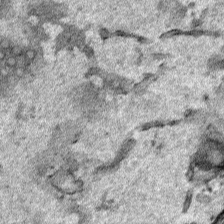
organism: Human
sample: Mitochondria in HCT116 cells